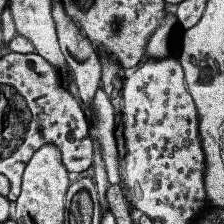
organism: Human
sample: Temporal Lobe